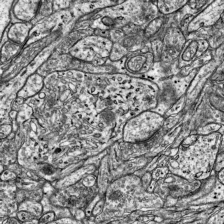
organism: Mouse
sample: Visual Cortex